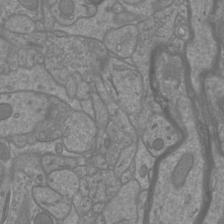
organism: Mouse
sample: Cortical neurons